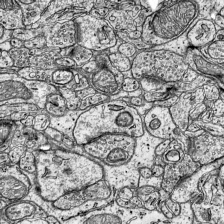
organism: Mouse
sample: Visual Cortex